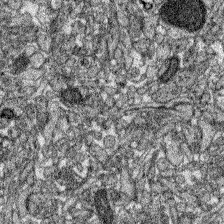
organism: Zebrafish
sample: Larval olfactory bulb